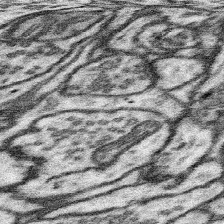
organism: Mouse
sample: Somatosensory cortex neuropil